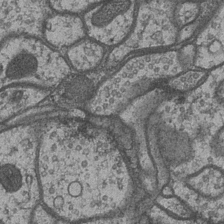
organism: Drosophila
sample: Optic medulla